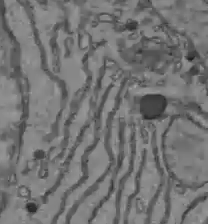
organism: C57BL Mouse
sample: Liver